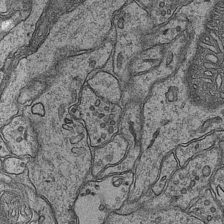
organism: Mouse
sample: CA1 Hippocampus